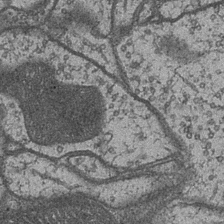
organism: Drosophila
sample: Optic medulla